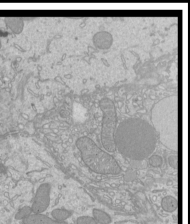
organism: Mouse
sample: Cilia; mouse epididymis